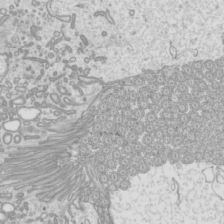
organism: Mouse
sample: Cilia; mouse epididymis